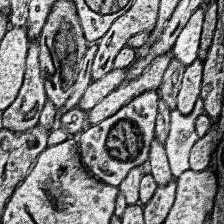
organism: Human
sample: Temporal Lobe